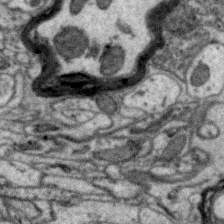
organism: Zebra finch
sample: Brain